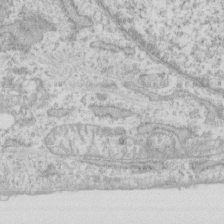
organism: Human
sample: Fibroblast cells